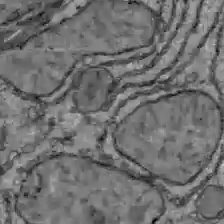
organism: C57BL Mouse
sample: Liver